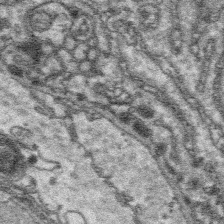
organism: Platynereis dumerilii